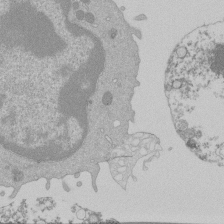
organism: Mouse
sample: Activated Pmel transgenic CD8+ T Cells